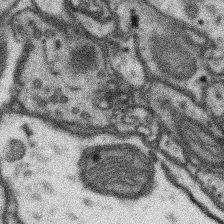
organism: Mouse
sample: Somatosensory cortex neuropil